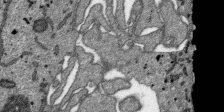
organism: Human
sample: Lung epithelial cells, uninfected (mock) control